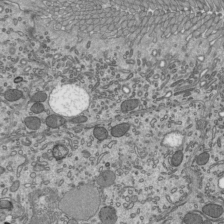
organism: Mouse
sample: Mouse epididymis efferent ductule cilia